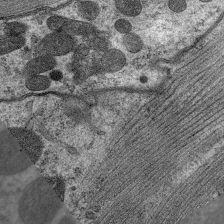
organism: C. elegans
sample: Pharynx